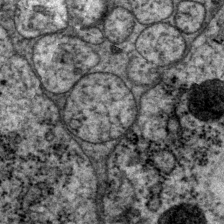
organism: P. pacificus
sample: Pharynx